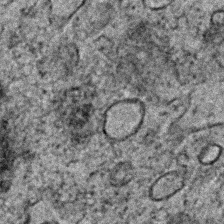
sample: Trachea